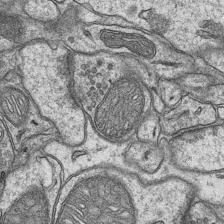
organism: Mouse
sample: CA1 Hippocampus